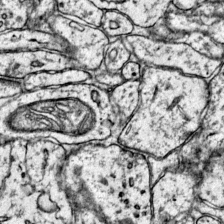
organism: Mouse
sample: Primary visual cortex